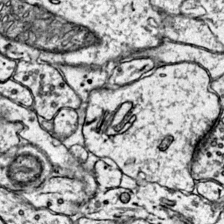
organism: Mouse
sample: Primary visual cortex